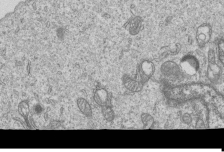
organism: Human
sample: MDA-MB-231 cells